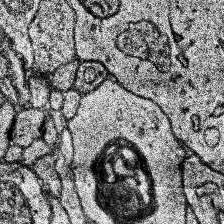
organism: Human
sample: Temporal Lobe